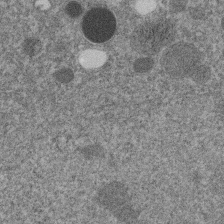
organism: C. elegans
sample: C. elegans embryo early stage